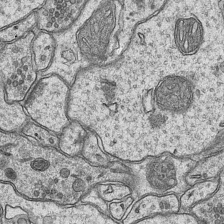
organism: Mouse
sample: CA1 Hippocampus